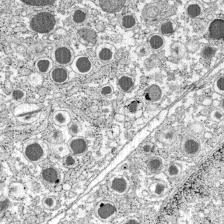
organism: C57BL Mouse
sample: Pancreatic islet